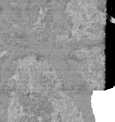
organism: Mouse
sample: Glomerulus